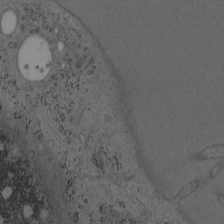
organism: Mouse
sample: OT-I killer T cells with ID8 ovarian cancer cells